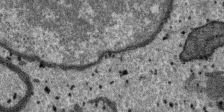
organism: Human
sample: Lung epithelial cells, uninfected (mock) control